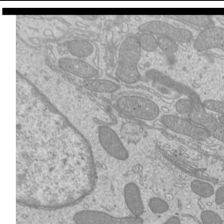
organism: Mouse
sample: Cilia; mouse epididymis